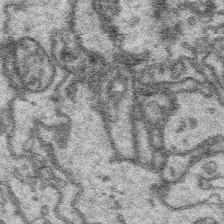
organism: Platynereis dumerilii